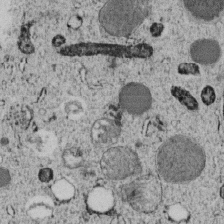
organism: C. elegans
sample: C. elegans embryo early stage